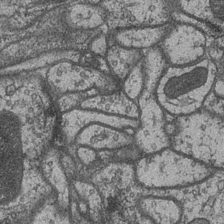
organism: Drosophila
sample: Optic medulla